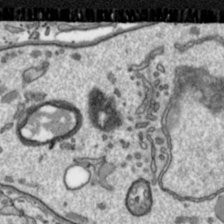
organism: Toxoplasma gondii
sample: Parasites in a vacuole inside a host cell